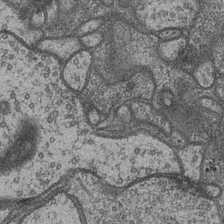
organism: Drosophila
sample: Optic medulla